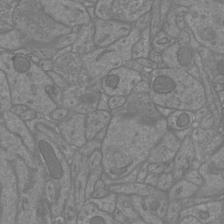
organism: Mouse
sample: Cortical neurons